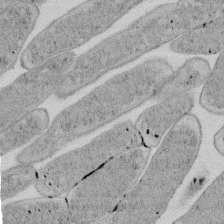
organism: E. coli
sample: Bacterial nucleoid